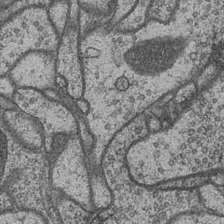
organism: Drosophila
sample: Optic medulla